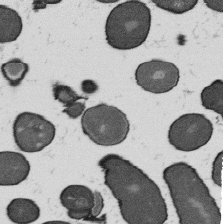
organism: B. subtilis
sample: Bacterial spore